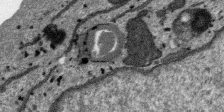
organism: Human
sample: Lung epithelial cells, uninfected (mock) control